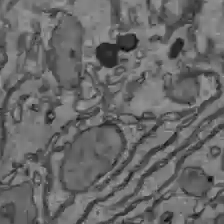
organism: C57BL Mouse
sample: Liver